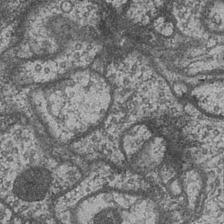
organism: Drosophila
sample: Optic medulla